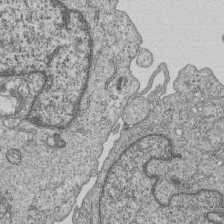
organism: Human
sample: MDA-MB-231 cells